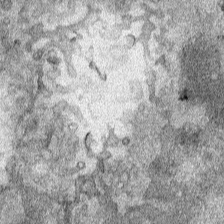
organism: Human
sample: Mitochondria in HCT116 cells